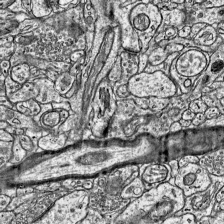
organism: Mouse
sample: Visual Cortex